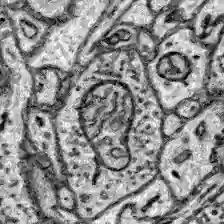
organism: Zebrafish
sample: Brain